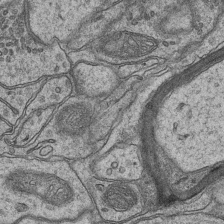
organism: Mouse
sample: CA1 Hippocampus